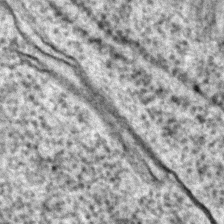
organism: C. elegans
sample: C. elegans embryo